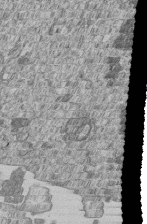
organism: Human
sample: MDA-MB-231 cells